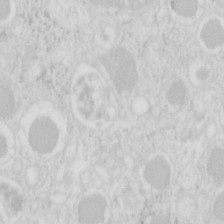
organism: Mouse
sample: Pancreas